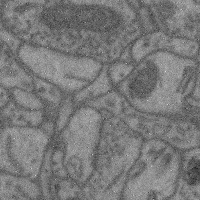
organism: Mouse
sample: Cerebral cortex